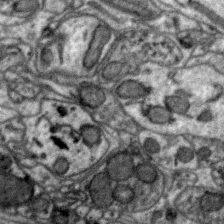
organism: Zebra finch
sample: Brain